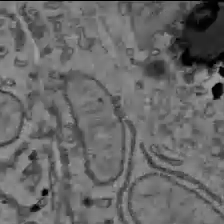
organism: C57BL Mouse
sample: Liver